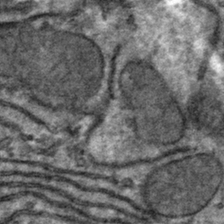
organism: Mouse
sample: Mouse hepatocytes